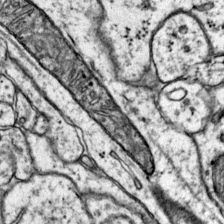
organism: Mouse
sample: Primary visual cortex